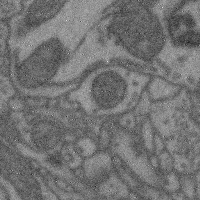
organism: Mouse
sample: Cerebral cortex